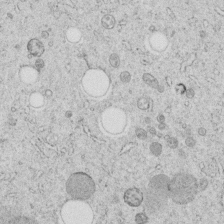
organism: C. elegans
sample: C. elegans embryo early stage